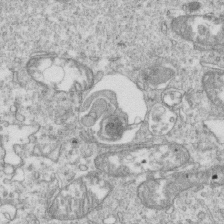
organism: Mouse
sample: Activated OT-1 CD8+ T cells